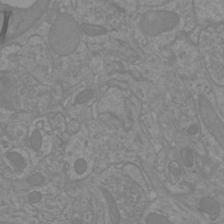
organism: Mouse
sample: Cortical neurons